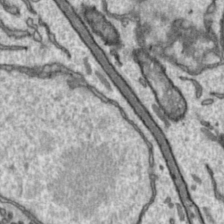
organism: Toxoplasma gondii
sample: Parasites in a vacuole inside a host cell